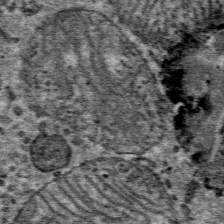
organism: Mouse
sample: Mouse Salivary gland